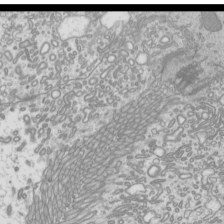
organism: Mouse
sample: Cilia; mouse epididymis